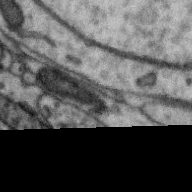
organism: Zebra finch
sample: Brain